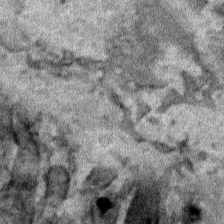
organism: Human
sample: Mitochondria in HCT116 cells